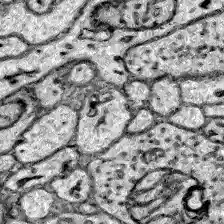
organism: Zebrafish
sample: Brain